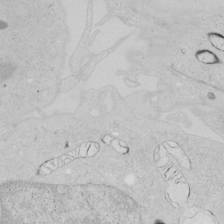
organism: Human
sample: Mitochondria in HCT116 cells